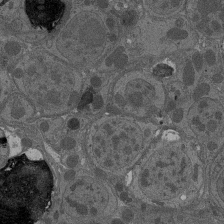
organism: Drosophila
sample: Antenna